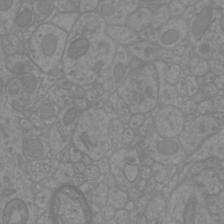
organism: Mouse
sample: Cortical neurons